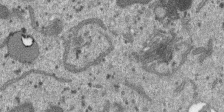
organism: Human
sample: Lung epithelial cells infected with SARS-CoV-2